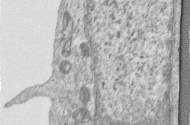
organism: Human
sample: Centriole in RPE cells